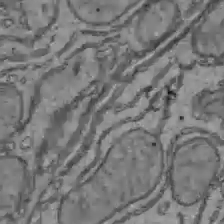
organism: C57BL Mouse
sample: Liver